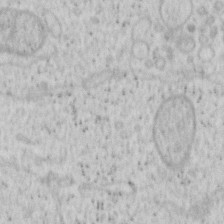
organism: Human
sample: HeLa cells